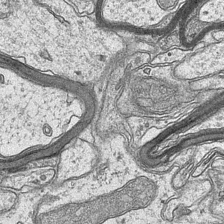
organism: Mouse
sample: CA1 Hippocampus